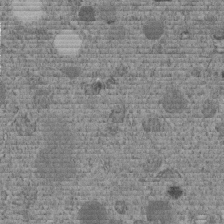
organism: C. elegans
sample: C. elegans embryo early stage